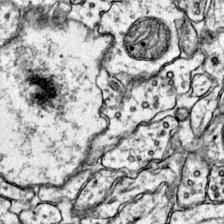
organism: Mouse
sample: Primary visual cortex